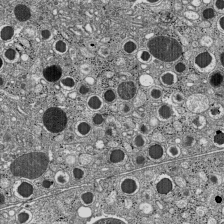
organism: C57BL Mouse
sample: Pancreatic islet